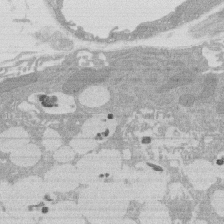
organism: Rat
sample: Salivary granule